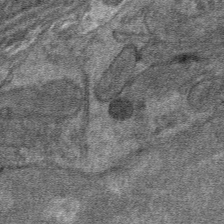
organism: Mouse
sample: Mouse hepatocytes